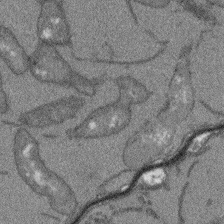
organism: Arabidopsis thaliana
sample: Root tip